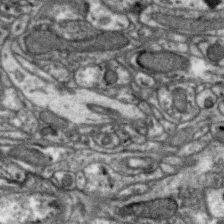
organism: Zebra finch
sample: Brain